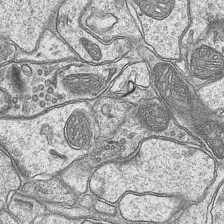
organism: Mouse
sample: CA1 Hippocampus